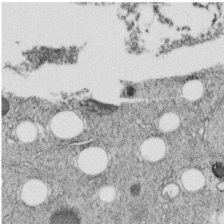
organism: C. elegans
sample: C. elegans embryo early stage